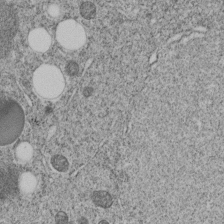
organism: C. elegans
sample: C. elegans embryo early stage